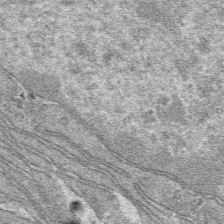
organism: Mouse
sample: Mouse hepatocytes